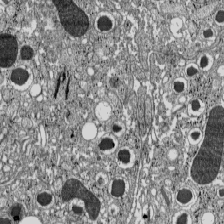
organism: C57BL Mouse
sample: Pancreatic islet